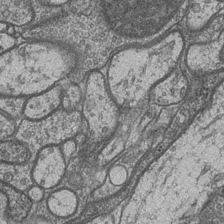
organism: Drosophila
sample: Optic medulla